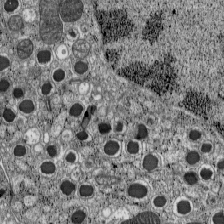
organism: C57BL Mouse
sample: Pancreatic islet